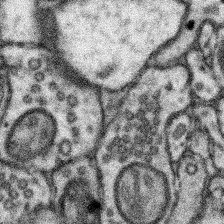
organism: Mouse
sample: Somatosensory cortex neuropil